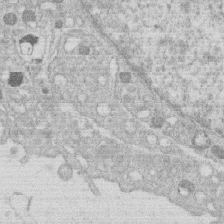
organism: Human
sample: Macrophage cells